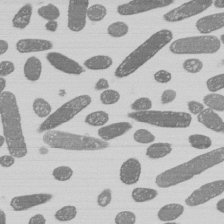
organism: E. coli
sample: Bacterial nucleoid